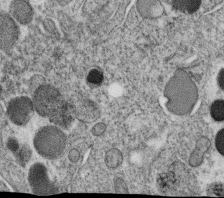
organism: C. elegans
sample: C. elegans oocyte; sperm cells